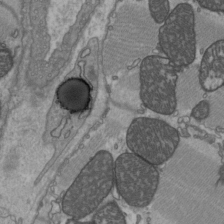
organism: C57BL Mouse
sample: Heart